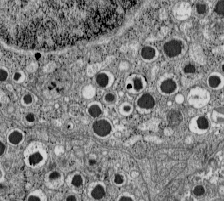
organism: C57BL Mouse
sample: Pancreatic islet